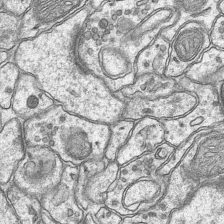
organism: Mouse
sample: CA1 Hippocampus